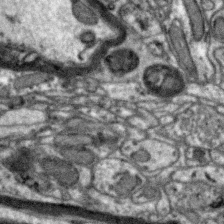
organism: Zebra finch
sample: Brain